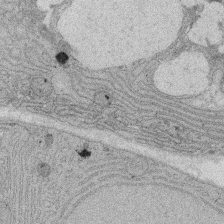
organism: Rat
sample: Salivary granule